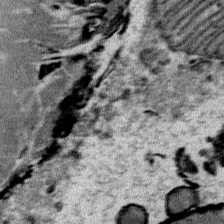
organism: Mouse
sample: Mouse Salivary gland